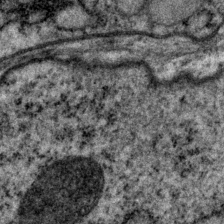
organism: P. pacificus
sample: Pharynx